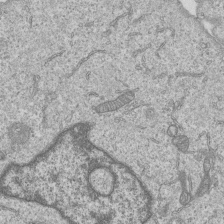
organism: Human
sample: MDA-MB-231 cells